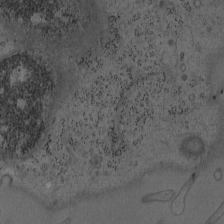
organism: Mouse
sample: OT-I killer T cells with ID8 ovarian cancer cells